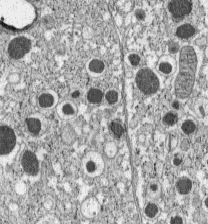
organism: C57BL Mouse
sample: Pancreatic islet